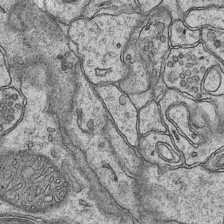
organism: Mouse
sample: CA1 Hippocampus